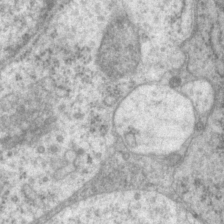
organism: P. pacificus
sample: Pharynx